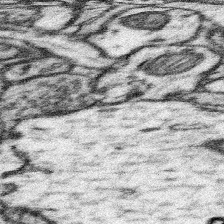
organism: Mouse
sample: Somatosensory cortex neuropil